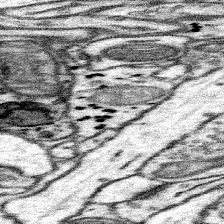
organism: Mouse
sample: Somatosensory cortex neuropil